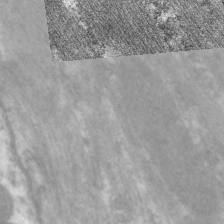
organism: C. elegans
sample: Pharynx